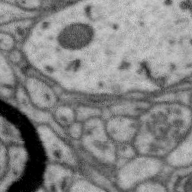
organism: Zebra finch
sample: Brain